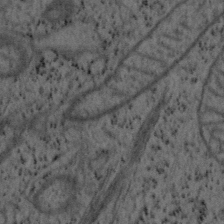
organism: Human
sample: HeLa cells